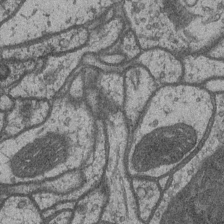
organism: Drosophila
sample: Optic medulla